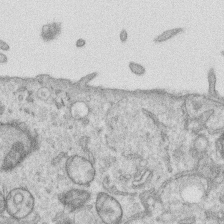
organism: Human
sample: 1205lu cells